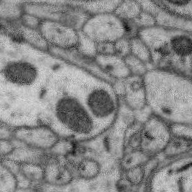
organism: Zebra finch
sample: Brain